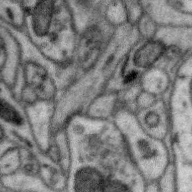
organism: Zebra finch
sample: Brain